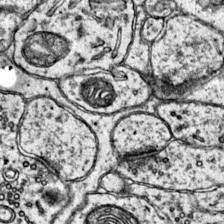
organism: Mouse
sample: Primary visual cortex